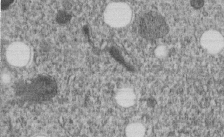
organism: C. elegans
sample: C. elegans embryo early stage